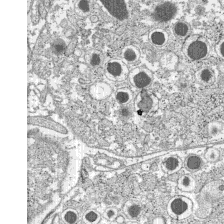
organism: C57BL Mouse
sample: Pancreatic islet